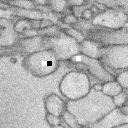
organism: Rabbit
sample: Retina